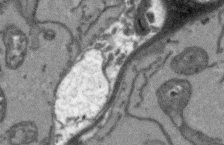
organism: Arabidopsis thaliana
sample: Root tip